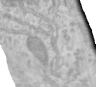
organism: Human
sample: Centriole in RPE cells